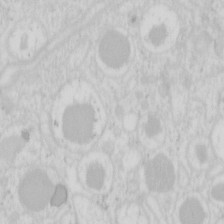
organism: Mouse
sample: Pancreas